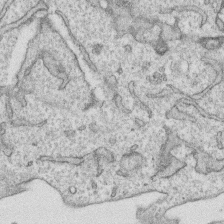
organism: Human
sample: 1205lu cells